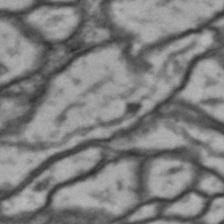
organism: Drosophila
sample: Brain